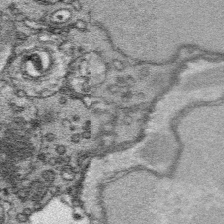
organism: Platynereis dumerilii